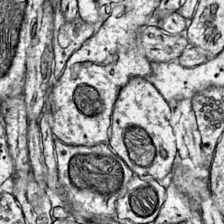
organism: Mouse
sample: Primary visual cortex